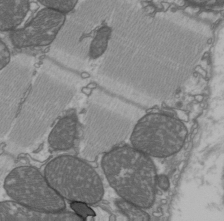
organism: C57BL Mouse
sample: Heart